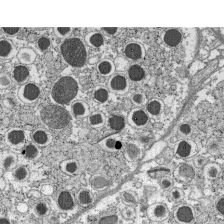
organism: C57BL Mouse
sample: Pancreatic islet